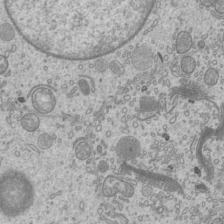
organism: Mouse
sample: Cilia; mouse epididymis